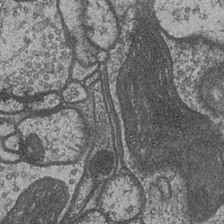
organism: Drosophila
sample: Optic medulla